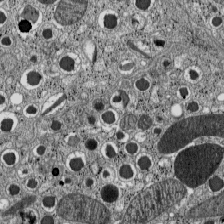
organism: C57BL Mouse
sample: Pancreatic islet